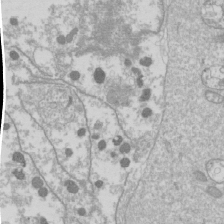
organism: Drosophila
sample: Cell division; meiosis; drosophila spermatocytes